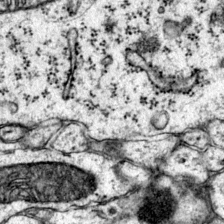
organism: Mouse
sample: Primary visual cortex